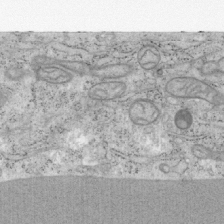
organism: Human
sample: HeLa cells